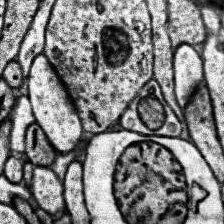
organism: Human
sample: Temporal Lobe